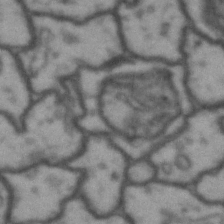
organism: Drosophila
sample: Brain